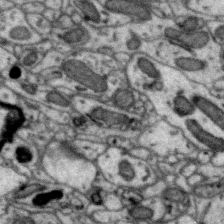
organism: Zebra finch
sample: Brain